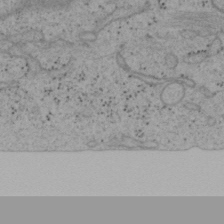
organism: Human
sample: HeLa cells